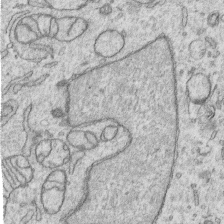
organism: Human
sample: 1205lu cells